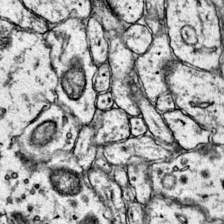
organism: Mouse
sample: Primary visual cortex